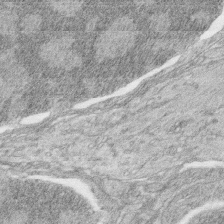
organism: Zebrafish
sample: synaptic ribbons in rod cells and cone cells